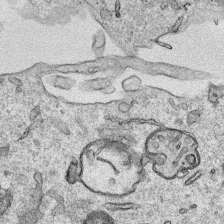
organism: Human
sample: Mitochondria in HCT116 cells